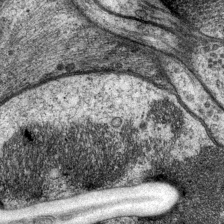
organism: P. pacificus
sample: Pharynx